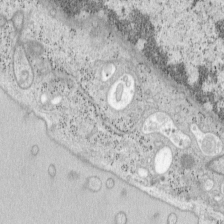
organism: Mouse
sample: OT-I killer T cells with ID8 ovarian cancer cells